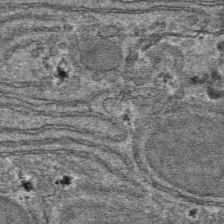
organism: Mouse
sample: Mouse hepatocytes